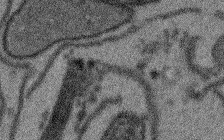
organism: Arabidopsis thaliana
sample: Root tip